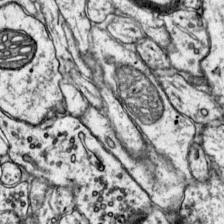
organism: Mouse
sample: Primary visual cortex